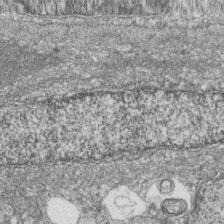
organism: Zebrafish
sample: Cilia; retinal pigment epithelium